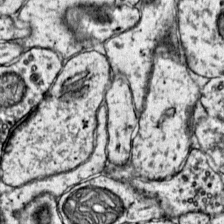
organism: Mouse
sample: Primary visual cortex